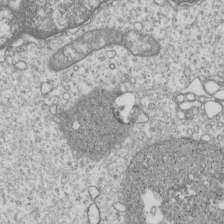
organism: Human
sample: MDA-MB-231 cells